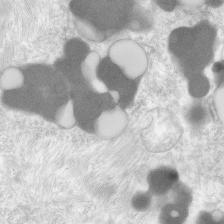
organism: Human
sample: Neocortex